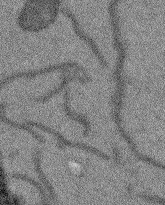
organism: Arabidopsis thaliana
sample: Root tip